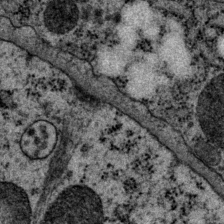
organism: P. pacificus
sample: Pharynx